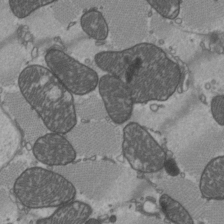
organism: C57BL Mouse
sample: Heart